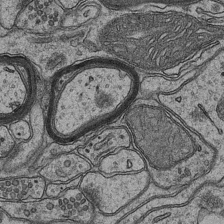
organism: Mouse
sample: CA1 Hippocampus